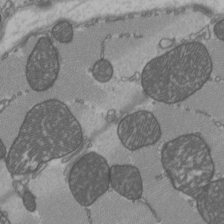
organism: C57BL Mouse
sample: Heart